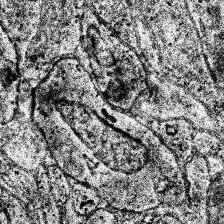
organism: Human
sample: Temporal Lobe